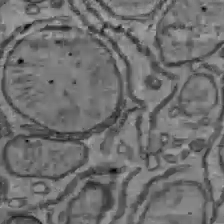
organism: C57BL Mouse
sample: Liver